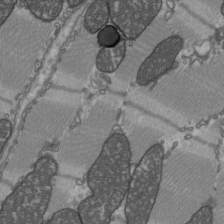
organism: C57BL Mouse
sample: Heart